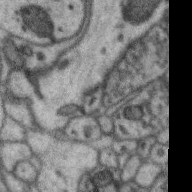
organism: Zebra finch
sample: Brain